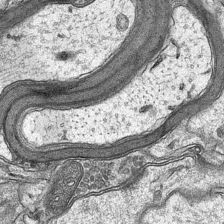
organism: Mouse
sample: CA1 Hippocampus